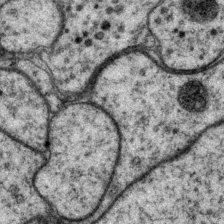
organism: P. pacificus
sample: Pharynx